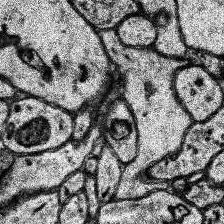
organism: Human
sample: Temporal Lobe